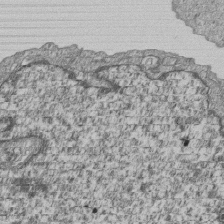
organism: Human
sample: MDA-MB-231 cells